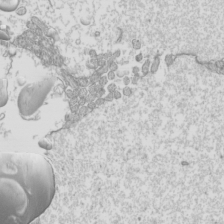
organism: Mouse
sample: Cilia; mouse epididymis